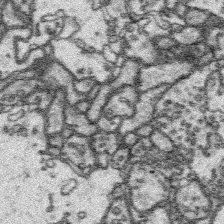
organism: Platynereis dumerilii